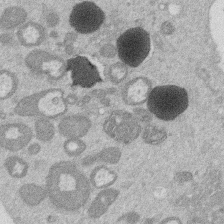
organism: Mouse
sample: Dividing mouse embryo 1 cell stage